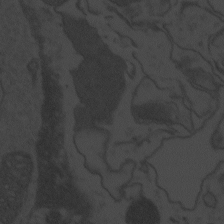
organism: Zebrafish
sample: Macrophage infected with Toxoplasma gondii